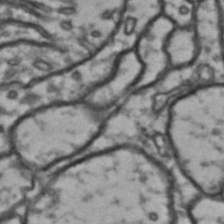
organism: Drosophila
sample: Brain